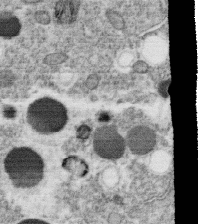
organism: C. elegans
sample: C. elegans oocyte; sperm cells